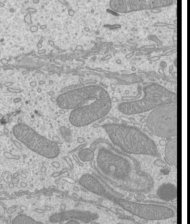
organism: Mouse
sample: Cilia; mouse epididymis